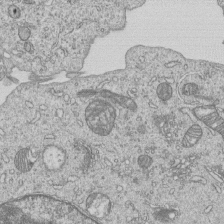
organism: Human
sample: MDA-MB-231 cells